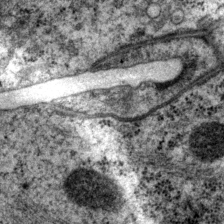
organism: P. pacificus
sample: Pharynx